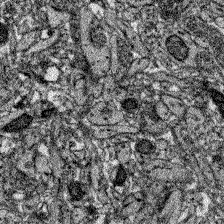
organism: Zebrafish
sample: Larval olfactory bulb